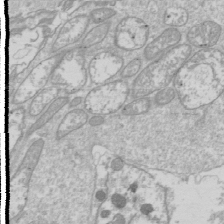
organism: Drosophila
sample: Cell division; meiosis; drosophila spermatocytes